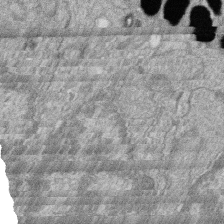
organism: Zebrafish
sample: Cilia; retinal pigment epithelium